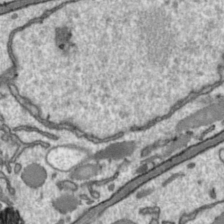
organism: Toxoplasma gondii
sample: Parasites in a vacuole inside a host cell